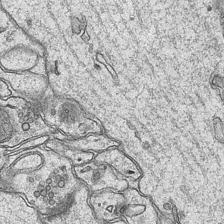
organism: Mouse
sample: CA1 Hippocampus